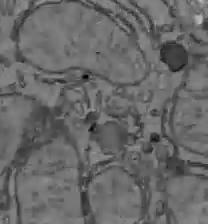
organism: C57BL Mouse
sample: Liver